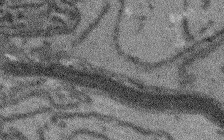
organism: Arabidopsis thaliana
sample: Root tip